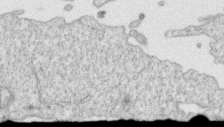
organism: Human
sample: HeLa cell HIV synapse